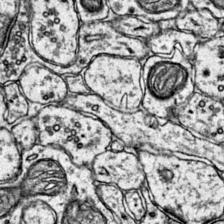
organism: Mouse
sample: Primary visual cortex